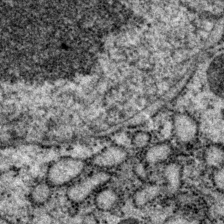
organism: P. pacificus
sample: Pharynx